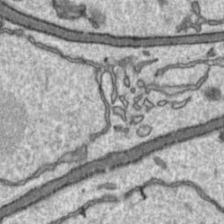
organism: Toxoplasma gondii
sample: Parasites in a vacuole inside a host cell